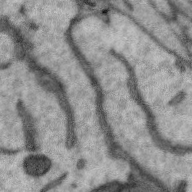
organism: Zebra finch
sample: Brain